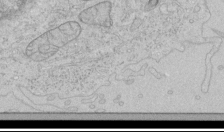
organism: Human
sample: Mitochondria in HCT116 cells